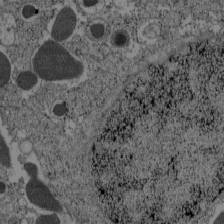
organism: C57BL Mouse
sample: Pancreatic islet